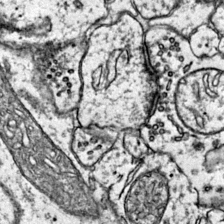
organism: Mouse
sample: Primary visual cortex